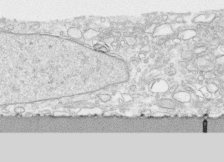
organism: Human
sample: CRL-1474